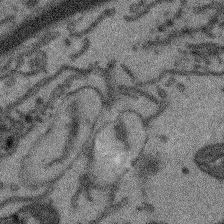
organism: Arabidopsis thaliana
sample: Root tip